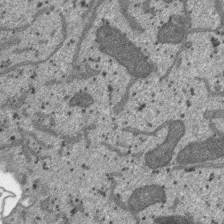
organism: Human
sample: Lung epithelial cells infected with SARS-CoV-2